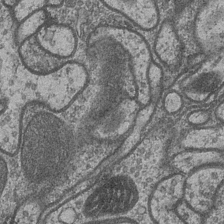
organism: Drosophila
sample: Optic medulla